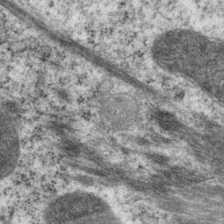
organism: P. pacificus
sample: Pharynx